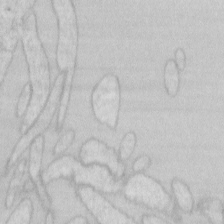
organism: Human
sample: HeLa cells